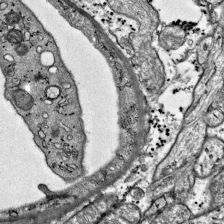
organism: Mouse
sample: Visual Cortex